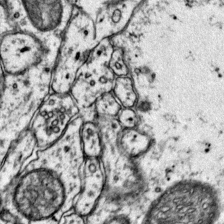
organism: Mouse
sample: Primary visual cortex